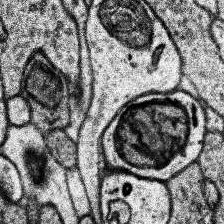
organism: Human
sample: Temporal Lobe